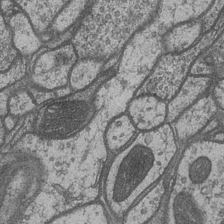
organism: Drosophila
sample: Optic medulla